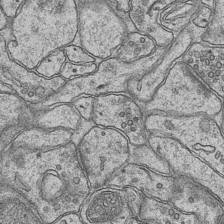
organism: Mouse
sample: CA1 Hippocampus